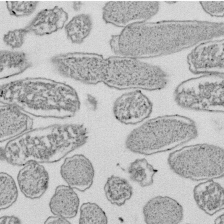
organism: E. coli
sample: Bacterial nucleoid